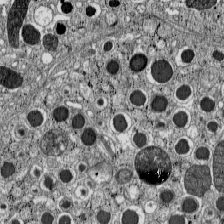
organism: C57BL Mouse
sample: Pancreatic islet